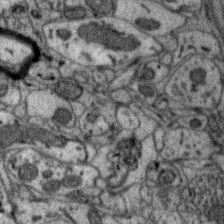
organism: Zebra finch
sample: Brain